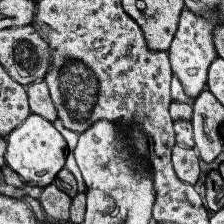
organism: Human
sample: Temporal Lobe